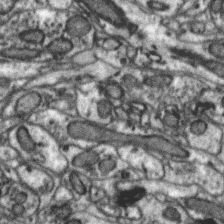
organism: Zebra finch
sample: Brain